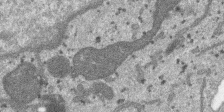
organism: Human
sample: Lung epithelial cells infected with SARS-CoV-2